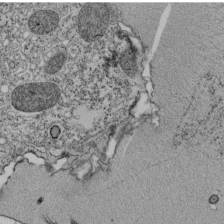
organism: Tetrahymena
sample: Cilia in tetrahymena